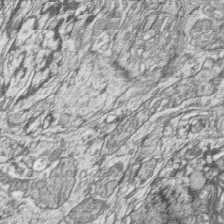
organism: Zebrafish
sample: synaptic ribbons in rod cells and cone cells